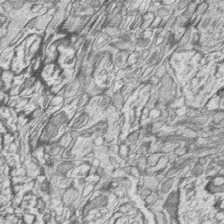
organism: Zebrafish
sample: synaptic ribbons in rod cells and cone cells